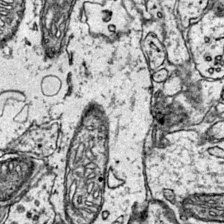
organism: Mouse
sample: Primary visual cortex